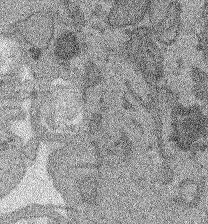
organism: Human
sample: HeLa cells